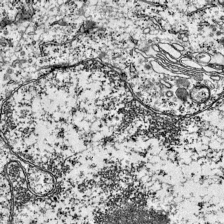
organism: Mouse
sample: Visual Cortex